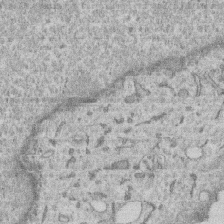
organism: Human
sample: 1205lu cells